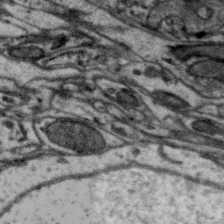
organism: Zebra finch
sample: Brain